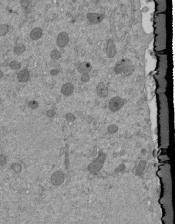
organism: Mouse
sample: ED-1 cell nuclei; centrioles